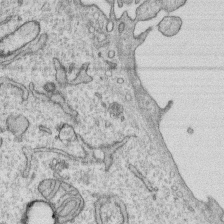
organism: Human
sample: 1205lu cells